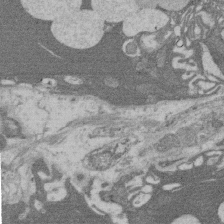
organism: Rat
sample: Salivary granule